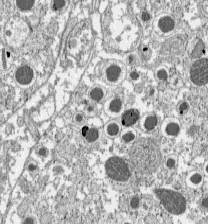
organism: C57BL Mouse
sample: Pancreatic islet